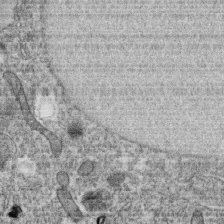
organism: C. elegans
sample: C. elegans oocyte; sperm cells